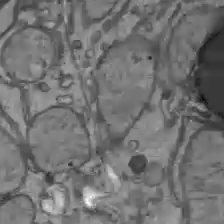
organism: C57BL Mouse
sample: Liver